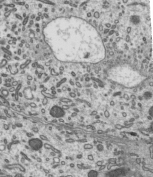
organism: Mouse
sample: Mouse epididymis efferent ductule cilia